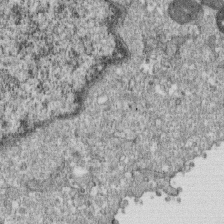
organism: African green monkey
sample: Vero E6 cells infected with SARS-CoV-2